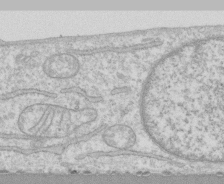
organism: Human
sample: CRL-1474